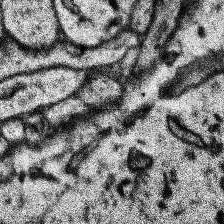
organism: Human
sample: Temporal Lobe